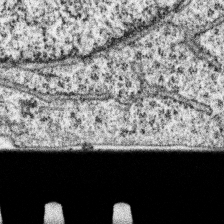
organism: Human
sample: HeLa cells